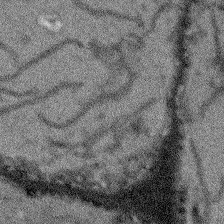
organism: Arabidopsis thaliana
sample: Root tip